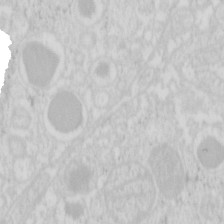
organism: Mouse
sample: Pancreas